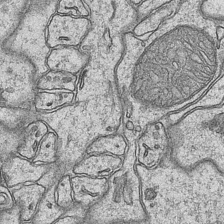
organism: Mouse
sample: CA1 Hippocampus